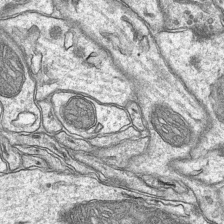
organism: Mouse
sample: CA1 Hippocampus